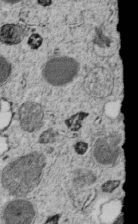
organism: C. elegans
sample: C. elegans embryo early stage